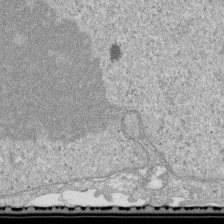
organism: Human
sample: HeLa cell HIV synapse